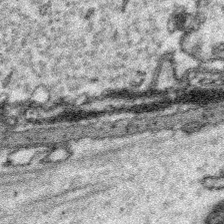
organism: Platynereis dumerilii